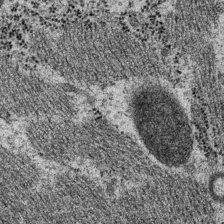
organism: P. pacificus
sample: Pharynx